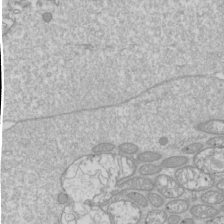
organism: Drosophila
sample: Cell division; meiosis; drosophila spermatocytes